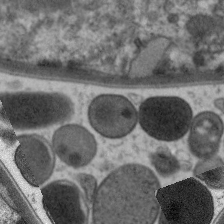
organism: C. elegans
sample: Pharynx